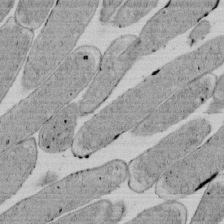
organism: E. coli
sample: Bacterial nucleoid